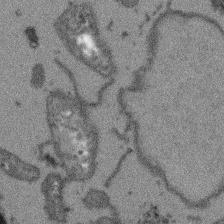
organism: Arabidopsis thaliana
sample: Root tip